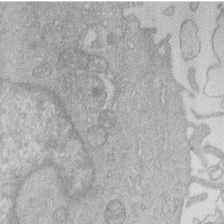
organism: Human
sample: Macrophage cells